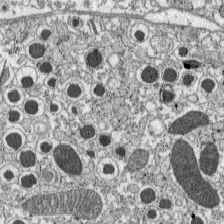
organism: C57BL Mouse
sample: Pancreatic islet